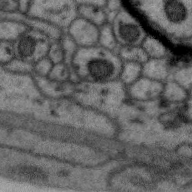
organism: Zebra finch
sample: Brain